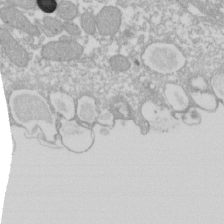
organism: Xenopus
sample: Cilia; centrioles in frog embryo cells